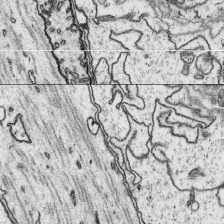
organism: Platynereis dumerilii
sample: Parapodia